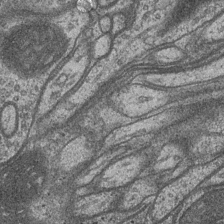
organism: Drosophila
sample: Optic medulla